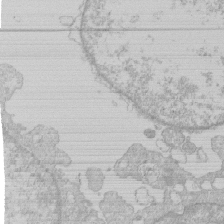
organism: Human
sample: Macrophage cells